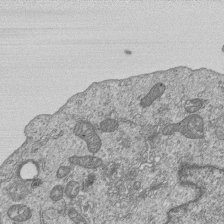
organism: Human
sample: MDA-MB-231 cells